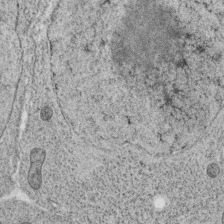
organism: C. elegans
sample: C. elegans oocyte; sperm cells